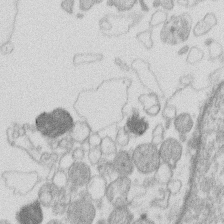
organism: Human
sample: Macrophage cells